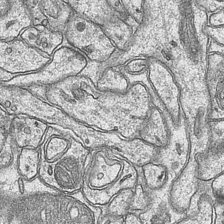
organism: Mouse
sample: CA1 Hippocampus